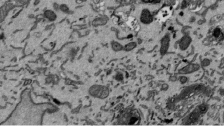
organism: Mouse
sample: ED-1 cell nuclei; centrioles